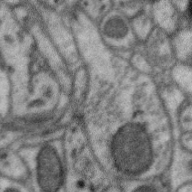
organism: Zebra finch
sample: Brain